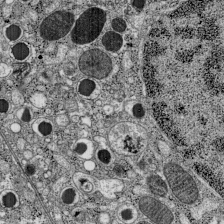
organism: C57BL Mouse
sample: Pancreatic islet